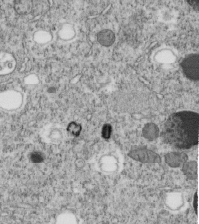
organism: C. elegans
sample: C. elegans embryo early stage